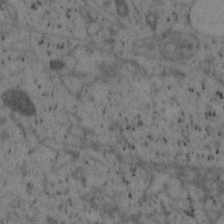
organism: Human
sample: HeLa cells